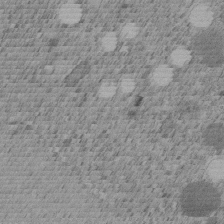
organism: C. elegans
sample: C. elegans embryo early stage